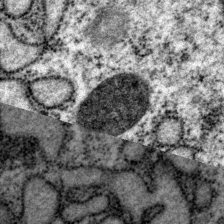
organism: P. pacificus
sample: Pharynx